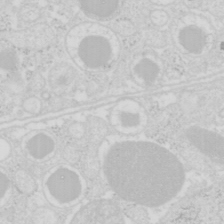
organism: Mouse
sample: Pancreas